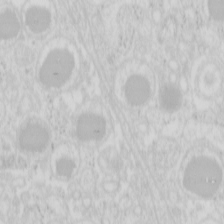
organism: Mouse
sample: Pancreas